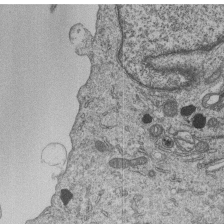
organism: Human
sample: MDA-MB-231 cells